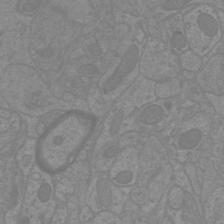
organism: Mouse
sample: Cortical neurons